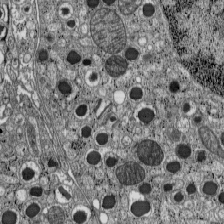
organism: C57BL Mouse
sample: Pancreatic islet